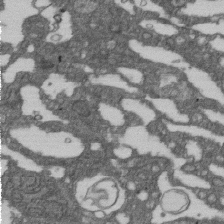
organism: Drosophila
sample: Nephrocyte